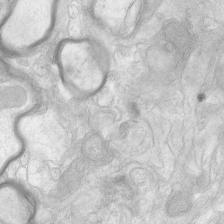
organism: Human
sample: Neocortex